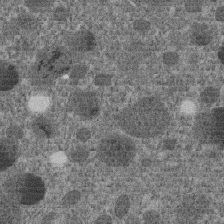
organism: C. elegans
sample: C. elegans embryo early stage